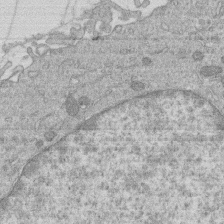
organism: Human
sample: Macrophage cells